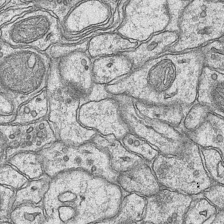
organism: Mouse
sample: CA1 Hippocampus